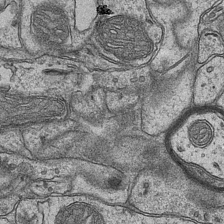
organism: Mouse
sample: CA1 Hippocampus